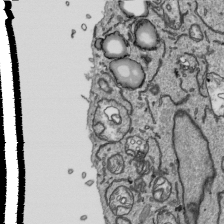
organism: Human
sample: Mitochondria in HCT116 cells